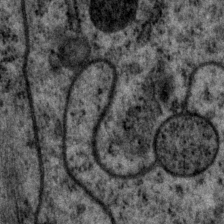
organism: P. pacificus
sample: Pharynx